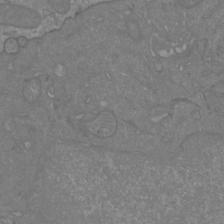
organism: Mouse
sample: Cortical neurons